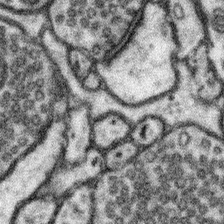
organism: Mouse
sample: Somatosensory cortex neuropil